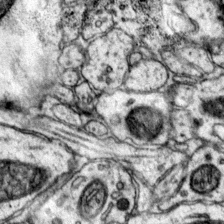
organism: Mouse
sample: Primary visual cortex